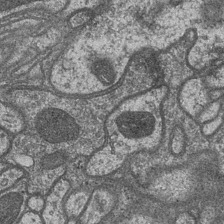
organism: Drosophila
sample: Optic medulla